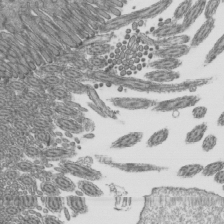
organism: Mouse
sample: Mouse epididymis efferent ductule cilia